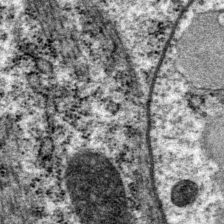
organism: P. pacificus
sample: Pharynx